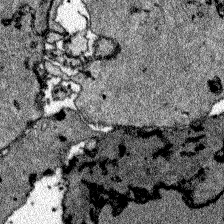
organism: Zebrafish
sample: Larval olfactory bulb